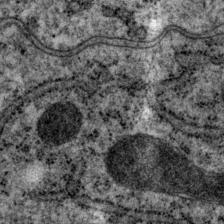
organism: P. pacificus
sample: Pharynx